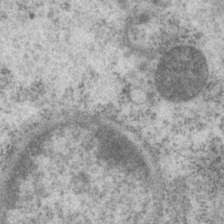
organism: P. pacificus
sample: Pharynx